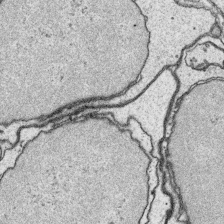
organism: Platynereis dumerilii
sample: Parapodia